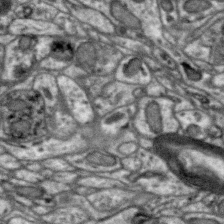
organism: Zebra finch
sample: Brain